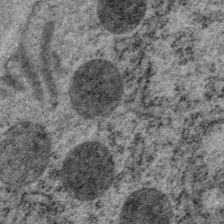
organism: P. pacificus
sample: Pharynx